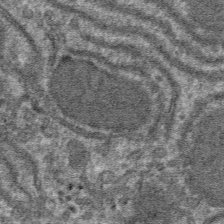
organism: Mouse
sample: Mouse hepatocytes